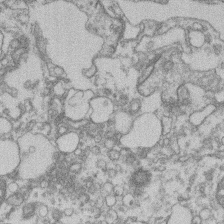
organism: Mouse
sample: T cell stromal cell synapse